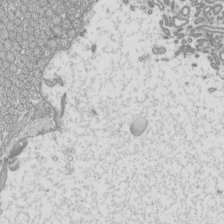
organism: Mouse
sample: Cilia; mouse epididymis